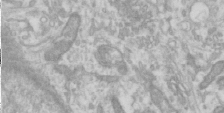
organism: Human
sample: Cilia; basal body in RPE cells